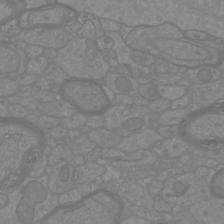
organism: Mouse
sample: Cortical neurons